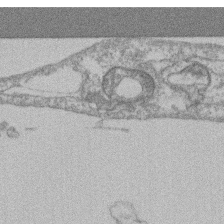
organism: Mouse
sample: T cell stromal cell synapse